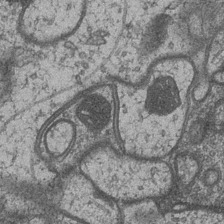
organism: Drosophila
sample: Optic medulla